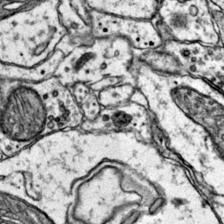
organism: Mouse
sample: Primary visual cortex